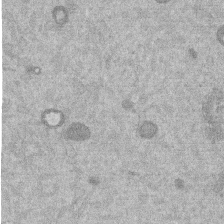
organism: Mouse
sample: Dividing mouse embryo 1 cell stage